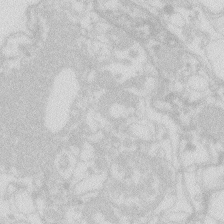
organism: Zebrafish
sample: Macrophage